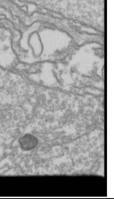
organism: Drosophila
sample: Cell division; meiosis; drosophila spermatocytes